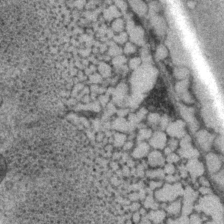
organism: P. pacificus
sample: Pharynx